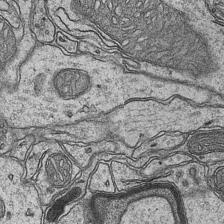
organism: Mouse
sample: CA1 Hippocampus